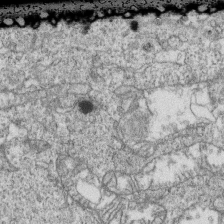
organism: Human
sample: HeLa cell HIV synapse